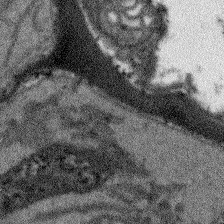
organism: Arabidopsis thaliana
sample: Root tip